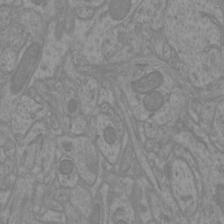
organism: Mouse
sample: Cortical neurons